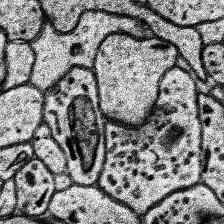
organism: Human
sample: Temporal Lobe